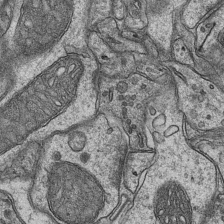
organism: Mouse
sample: CA1 Hippocampus